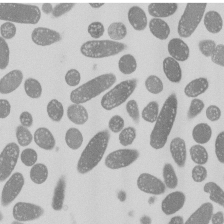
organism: E. coli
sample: Bacterial nucleoid